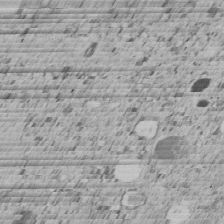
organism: C. elegans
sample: C. elegans embryo early stage